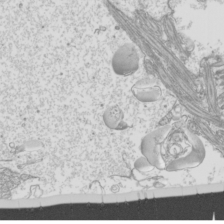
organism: Mouse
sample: Cilia; mouse epididymis